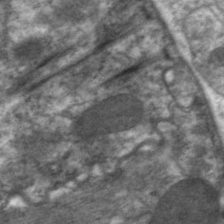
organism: C. elegans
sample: Pharynx